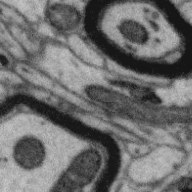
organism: Zebra finch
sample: Brain